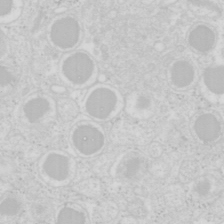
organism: Mouse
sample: Pancreas